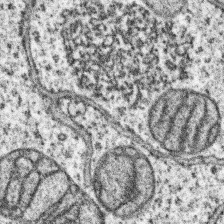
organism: Human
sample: HeLa cells